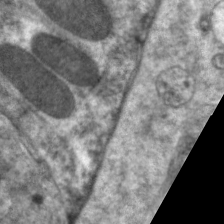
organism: C. elegans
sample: Pharynx